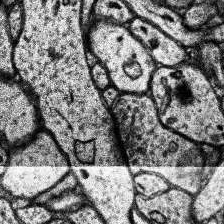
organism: Human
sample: Temporal Lobe